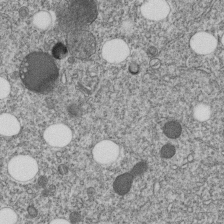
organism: C. elegans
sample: C. elegans embryo early stage